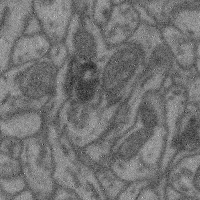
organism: Mouse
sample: Cerebral cortex